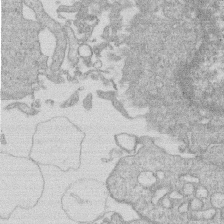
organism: Human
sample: Macrophage cells